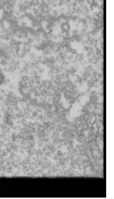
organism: Drosophila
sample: Cell division; meiosis; drosophila spermatocytes